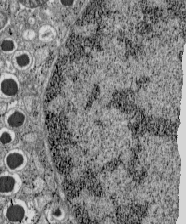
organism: C57BL Mouse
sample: Pancreatic islet